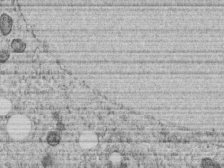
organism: C. elegans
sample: C. elegans embryo early stage